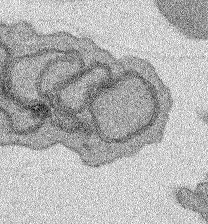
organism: Human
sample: HeLa cells